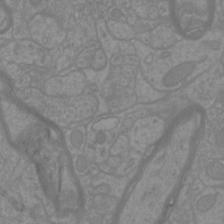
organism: Mouse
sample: Cortical neurons